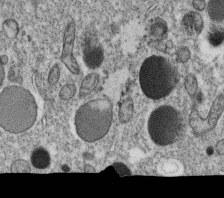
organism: C. elegans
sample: C. elegans oocyte; sperm cells